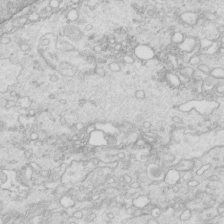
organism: Mouse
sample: Multiciliated cells